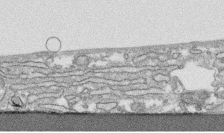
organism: Human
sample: CRL-1474